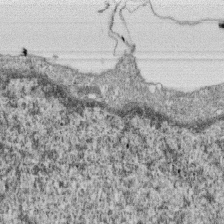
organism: African green monkey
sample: Vero E6 cells infected with SARS-CoV-2